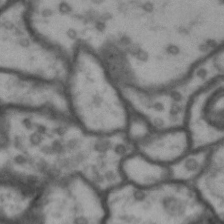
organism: Drosophila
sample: Brain